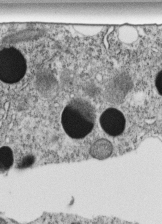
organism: C. elegans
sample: C. elegans embryo early stage